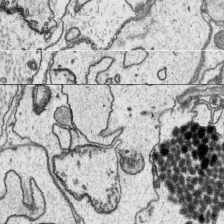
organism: Platynereis dumerilii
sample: Parapodia